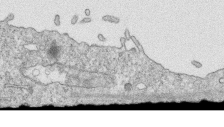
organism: Human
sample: HeLa cell HIV synapse